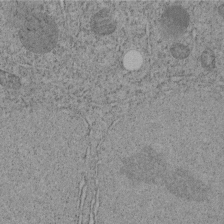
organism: C. elegans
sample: C. elegans embryo early stage